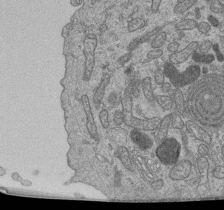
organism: Human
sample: Retinal organoid Rod and Cone cells